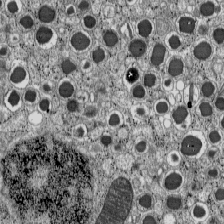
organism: C57BL Mouse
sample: Pancreatic islet